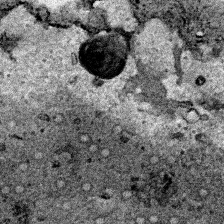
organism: Human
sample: Mitochondria in HCT116 cells